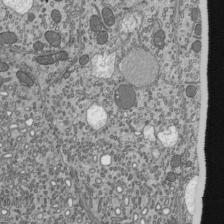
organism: Mouse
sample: Mouse epididymis efferent ductule cilia